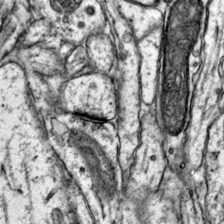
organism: Mouse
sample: Primary visual cortex